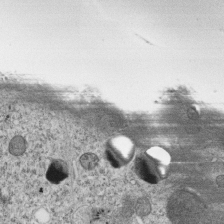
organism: C. elegans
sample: C. elegans embryo early stage